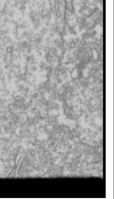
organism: Drosophila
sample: Cell division; meiosis; drosophila spermatocytes